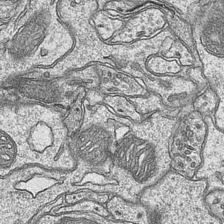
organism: Mouse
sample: CA1 Hippocampus